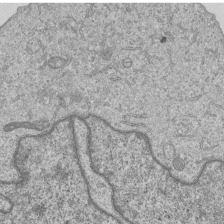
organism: Human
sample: MDA-MB-231 cells